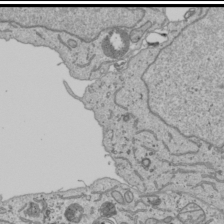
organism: Human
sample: Mitochondria in U2OS cells